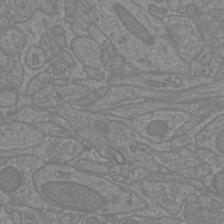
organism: Mouse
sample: Cortical neurons